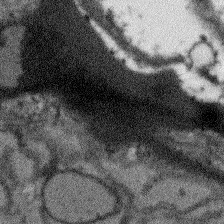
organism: Arabidopsis thaliana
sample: Root tip